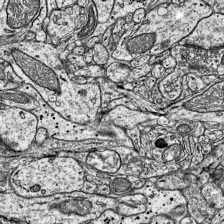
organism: Mouse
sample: Visual Cortex